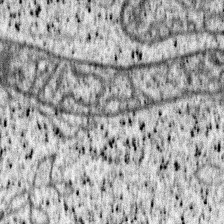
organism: Human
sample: HeLa cells